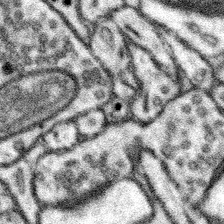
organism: Mouse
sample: Somatosensory cortex neuropil